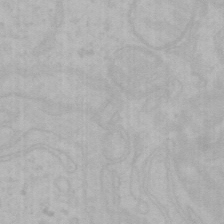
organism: Mouse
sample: Choroid plexus